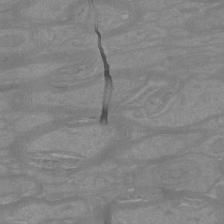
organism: Mouse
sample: Cortical neurons